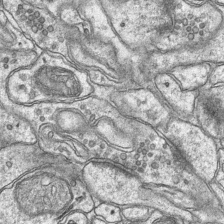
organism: Mouse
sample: CA1 Hippocampus